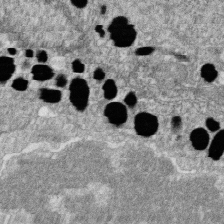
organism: Zebrafish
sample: Cilia; retinal pigment epithelium